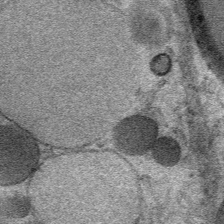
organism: Mouse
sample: Mouse Salivary gland